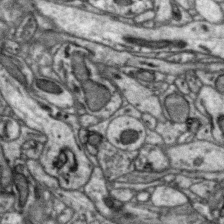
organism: Zebra finch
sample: Brain